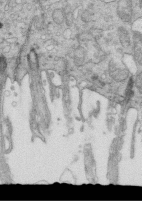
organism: Mouse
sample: Multiciliated cells